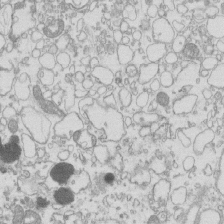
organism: Mouse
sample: Macrophages